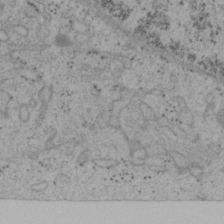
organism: Human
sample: HeLa cells